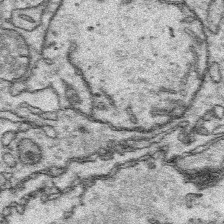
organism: Platynereis dumerilii